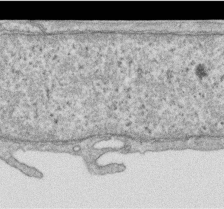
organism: Human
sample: Centriole in RPE cells